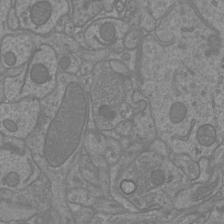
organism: Mouse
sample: Cortical neurons